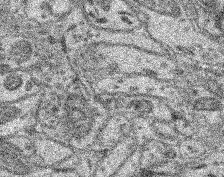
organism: Mouse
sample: Retina